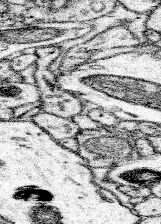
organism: Mouse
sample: Somatosensory cortex neuropil